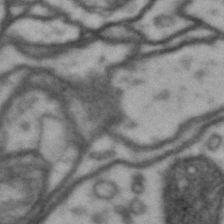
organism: Drosophila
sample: Brain